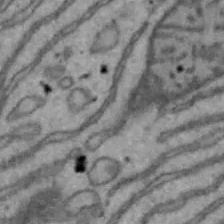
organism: Mouse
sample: Liver